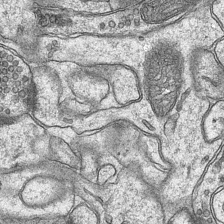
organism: Mouse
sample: CA1 Hippocampus